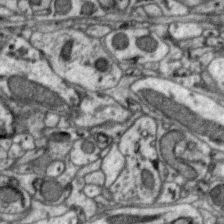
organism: Zebra finch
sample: Brain